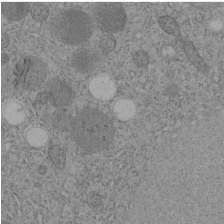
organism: C. elegans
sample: C. elegans embryo early stage